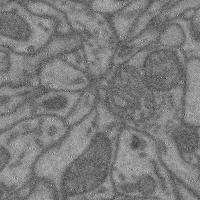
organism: Mouse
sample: Cerebral cortex